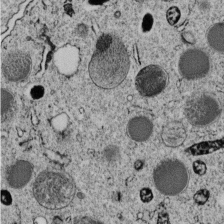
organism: C. elegans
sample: C. elegans embryo early stage